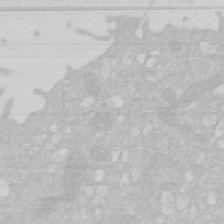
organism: Human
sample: HIV infected U937 cells